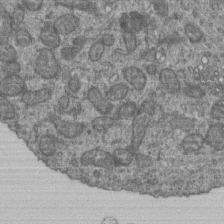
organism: Human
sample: Retinal organoid Rod and Cone cells